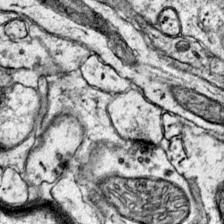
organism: Mouse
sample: Primary visual cortex